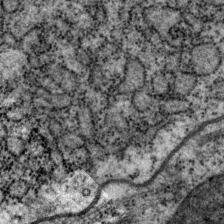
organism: P. pacificus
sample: Pharynx